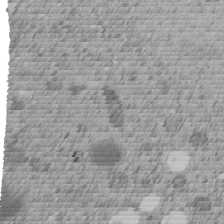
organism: C. elegans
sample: C. elegans embryo early stage